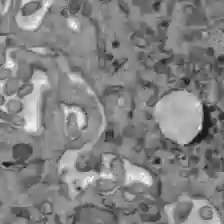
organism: C57BL Mouse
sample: Liver